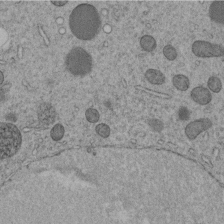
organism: C. elegans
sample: C. elegans embryo early stage